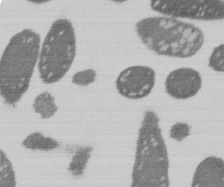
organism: E. coli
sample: Bacterial nucleoid